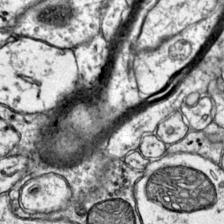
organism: Mouse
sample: Primary visual cortex